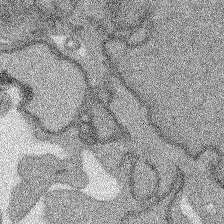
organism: Human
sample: HeLa cells